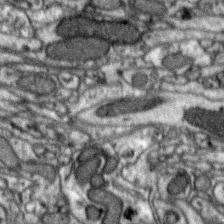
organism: Zebra finch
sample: Brain